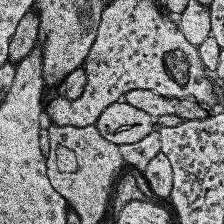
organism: Human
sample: Temporal Lobe